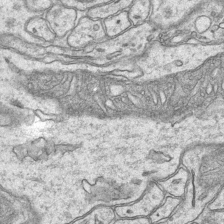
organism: Mouse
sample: CA1 Hippocampus